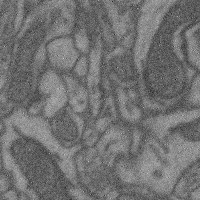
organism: Mouse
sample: Cerebral cortex